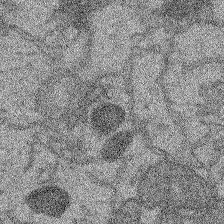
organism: Human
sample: HeLa cells